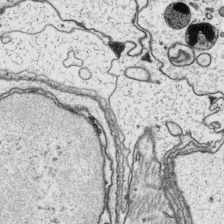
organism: Platynereis dumerilii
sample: Parapodia